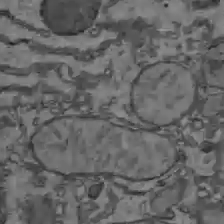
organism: C57BL Mouse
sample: Liver